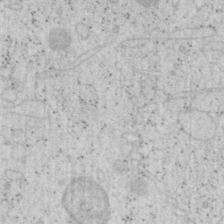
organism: Human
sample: HeLa cells